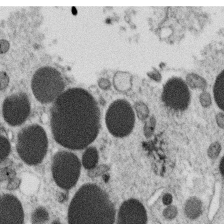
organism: C. elegans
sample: C. elegans oocyte; sperm cells